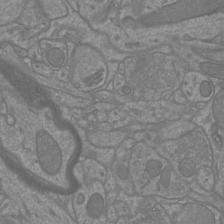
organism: Mouse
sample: Cortical neurons